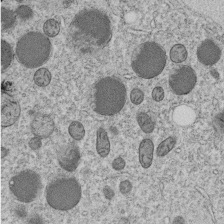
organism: C. elegans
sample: C. elegans embryo early stage